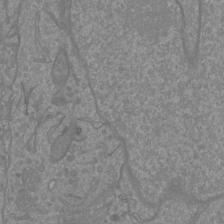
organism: Mouse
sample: Cortical neurons